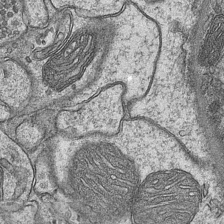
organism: Mouse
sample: CA1 Hippocampus